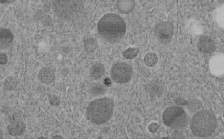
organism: C. elegans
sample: C. elegans embryo early stage